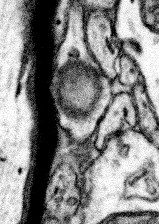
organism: Mouse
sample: Somatosensory cortex neuropil